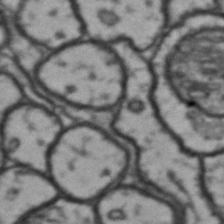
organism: Drosophila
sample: Brain